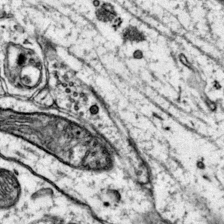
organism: Mouse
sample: Primary visual cortex